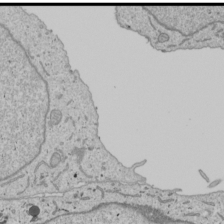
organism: Human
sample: Mitochondria in U2OS cells